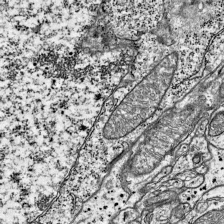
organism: Mouse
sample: Visual Cortex